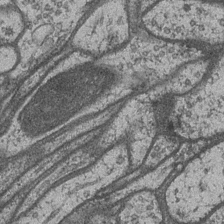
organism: Drosophila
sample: Optic medulla